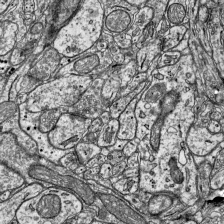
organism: Mouse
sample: Visual Cortex